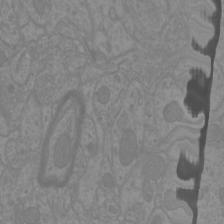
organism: Mouse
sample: Cortical neurons